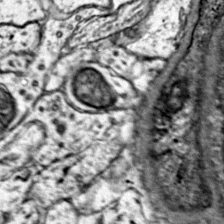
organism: Mouse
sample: Primary visual cortex